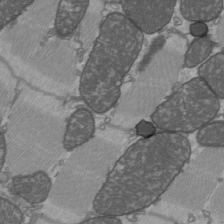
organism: C57BL Mouse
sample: Heart